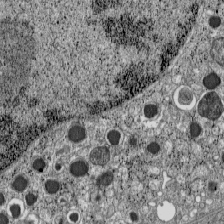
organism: C57BL Mouse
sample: Pancreatic islet